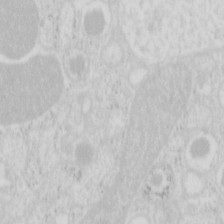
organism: Mouse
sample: Pancreas